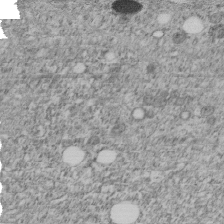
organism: C. elegans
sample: C. elegans embryo early stage